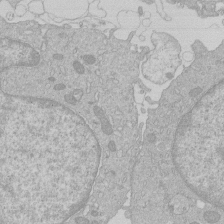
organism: Human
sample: Macrophage cells